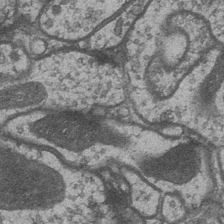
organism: Drosophila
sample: Optic medulla